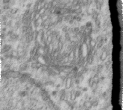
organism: Human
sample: Centriole in RPE cells